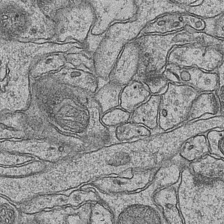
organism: Mouse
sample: CA1 Hippocampus